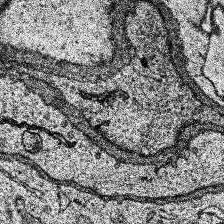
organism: Human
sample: Temporal Lobe